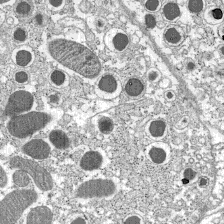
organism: C57BL Mouse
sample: Pancreatic islet